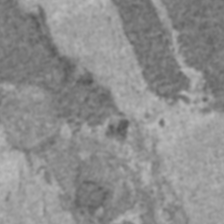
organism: C57BL Mouse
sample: Heart